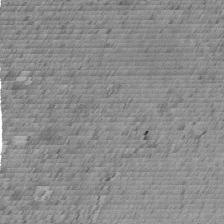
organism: C. elegans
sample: C. elegans embryo early stage